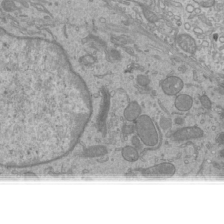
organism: Mouse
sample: Cilia; mouse epididymis